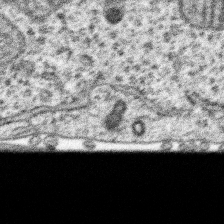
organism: Human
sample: HeLa cells